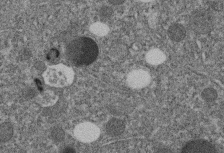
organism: C. elegans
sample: C. elegans embryo early stage